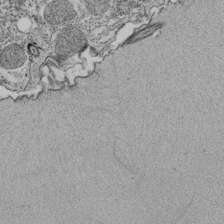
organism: Tetrahymena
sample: Cilia in tetrahymena